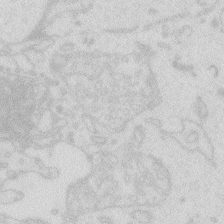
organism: Zebrafish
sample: Macrophage